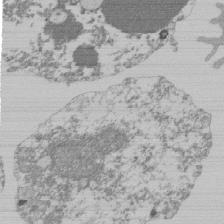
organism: Mouse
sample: Activated Pmel transgenic CD8+ T Cells